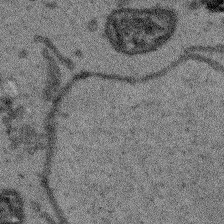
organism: Arabidopsis thaliana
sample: Root tip